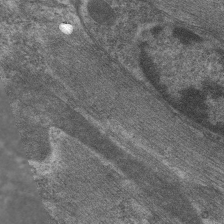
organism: C. elegans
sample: Pharynx